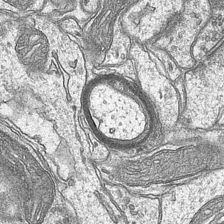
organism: Mouse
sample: CA1 Hippocampus